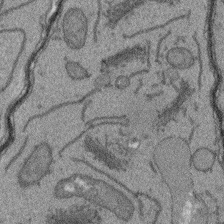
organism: Arabidopsis thaliana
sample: Root tip